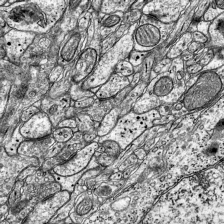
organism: Mouse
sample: Visual Cortex